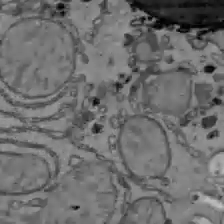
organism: C57BL Mouse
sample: Liver